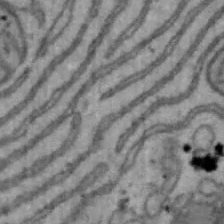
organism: Mouse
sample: Liver